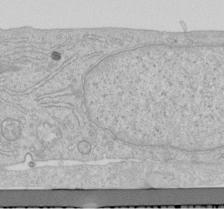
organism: Human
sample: Centriole in RPE cells